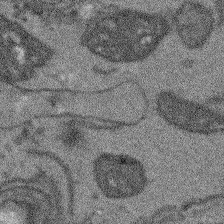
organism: Arabidopsis thaliana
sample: Root tip